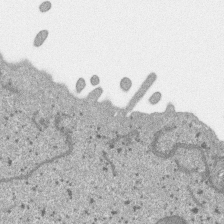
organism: Human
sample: Lung epithelial cells infected with SARS-CoV-2